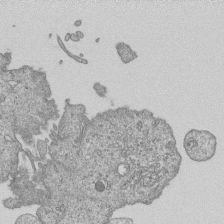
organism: Human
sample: MDA-MB-231 cells